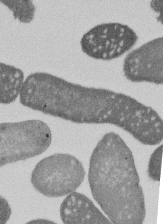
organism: E. coli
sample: Bacterial nucleoid